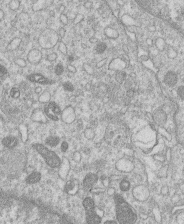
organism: Human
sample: Macrophage cells